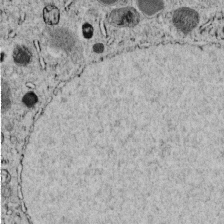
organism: C. elegans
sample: C. elegans embryo early stage